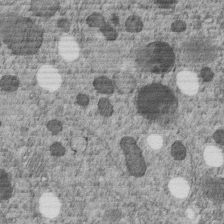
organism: C. elegans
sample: C. elegans embryo early stage